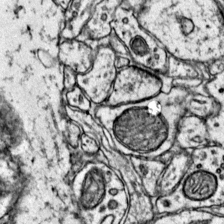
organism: Mouse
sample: Primary visual cortex